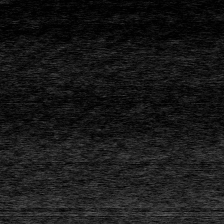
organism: Human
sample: HeLa cells